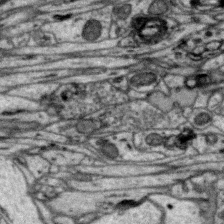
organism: Zebra finch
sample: Brain